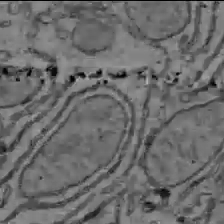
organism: C57BL Mouse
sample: Liver